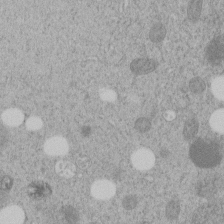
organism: C. elegans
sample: C. elegans embryo early stage